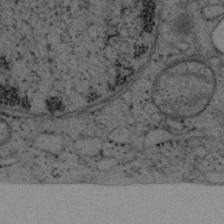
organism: Human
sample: HeLa cells